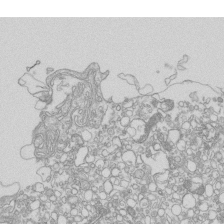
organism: Mouse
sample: Macrophages